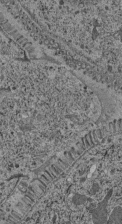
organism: C. elegans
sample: C. elegans pharynx